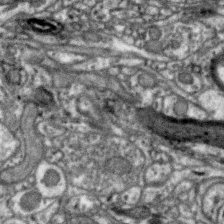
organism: Zebra finch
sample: Brain